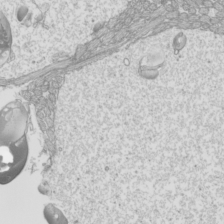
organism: Mouse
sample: Cilia; mouse epididymis